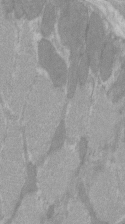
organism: C57BL Mouse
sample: Tibialis anterior muscle cell